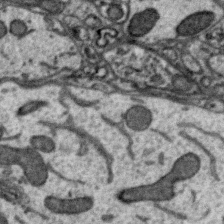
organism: Zebra finch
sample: Brain